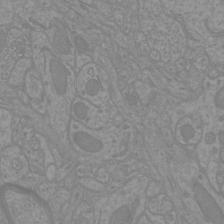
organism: Mouse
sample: Cortical neurons